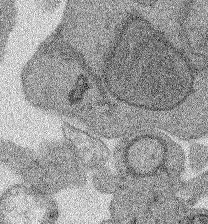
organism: Human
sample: HeLa cells